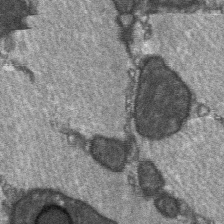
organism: C57BL Mouse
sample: Soleus